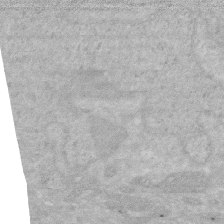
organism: Human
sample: HIV infected U937 cells